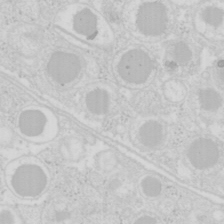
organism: Mouse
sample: Pancreas